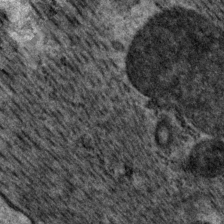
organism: P. pacificus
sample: Pharynx